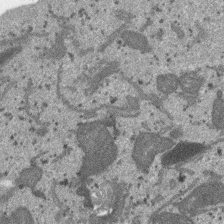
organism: Human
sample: Lung epithelial cells infected with SARS-CoV-2